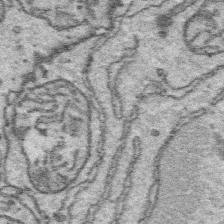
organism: Platynereis dumerilii